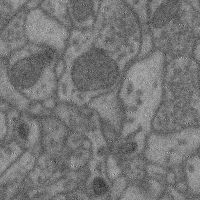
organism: Mouse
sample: Cerebral cortex